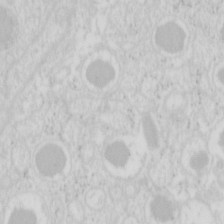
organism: Mouse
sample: Pancreas